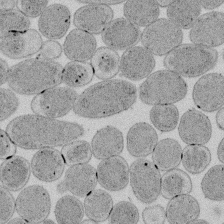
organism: E. coli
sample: Bacterial nucleoid